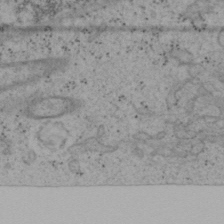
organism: Human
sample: HeLa cells